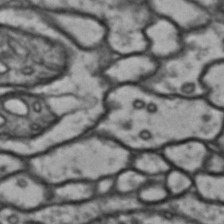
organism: Drosophila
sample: Brain